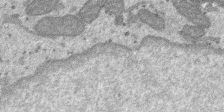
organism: Human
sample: Lung epithelial cells infected with SARS-CoV-2